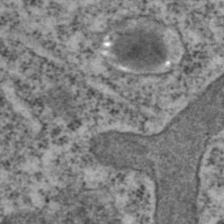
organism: C. elegans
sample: C. elegans embryo